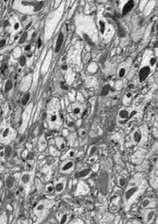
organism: Drosophila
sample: Optic lobe